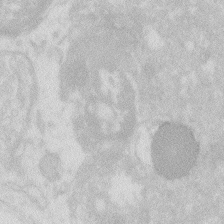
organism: Zebrafish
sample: Macrophage